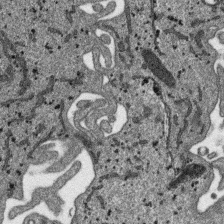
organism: Human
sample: Lung epithelial cells infected with SARS-CoV-2